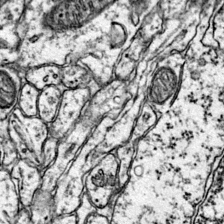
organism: Mouse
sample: Primary visual cortex